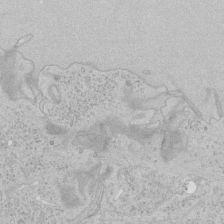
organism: Human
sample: Mitochondria in HCT116 cells